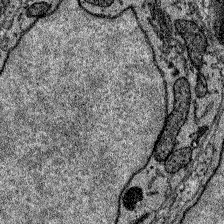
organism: Zebrafish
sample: Larval olfactory bulb